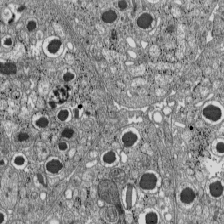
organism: C57BL Mouse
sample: Pancreatic islet